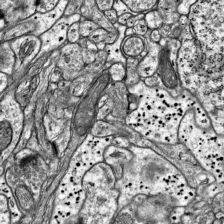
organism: Mouse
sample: Visual Cortex